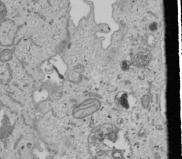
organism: Human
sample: Mitochondria in U2OS cells